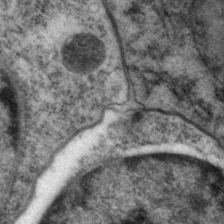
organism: P. pacificus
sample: Pharynx